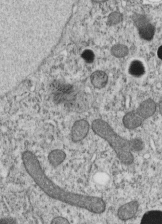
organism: C. elegans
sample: C. elegans embryo early stage